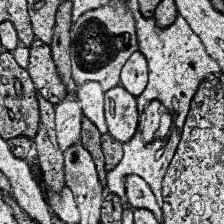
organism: Human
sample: Temporal Lobe